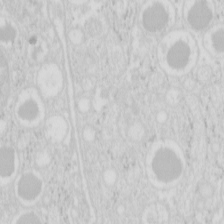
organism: Mouse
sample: Pancreas